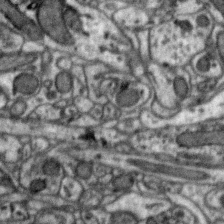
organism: Zebra finch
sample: Brain